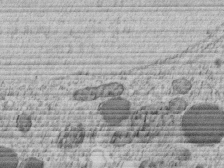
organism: C. elegans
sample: C. elegans embryo early stage